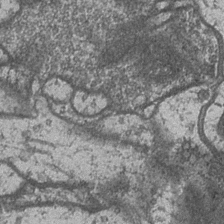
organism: Drosophila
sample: Optic medulla